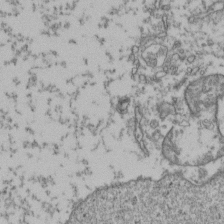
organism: Human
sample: Activated Jurkat CD4+ T cells